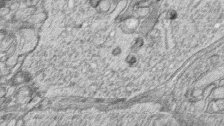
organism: Zebrafish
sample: synaptic ribbons in rod cells and cone cells